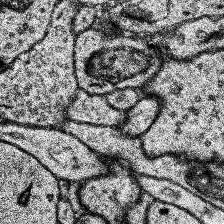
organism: Human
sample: Temporal Lobe